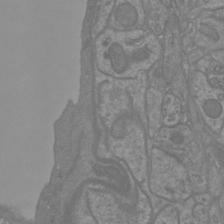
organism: Mouse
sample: Cortical neurons